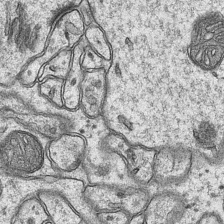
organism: Mouse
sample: CA1 Hippocampus